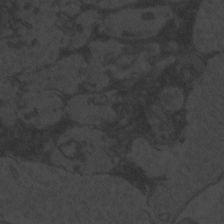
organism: Zebrafish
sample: Macrophage infected with Toxoplasma gondii